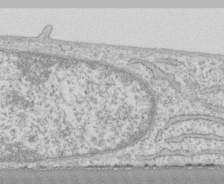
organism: Human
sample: CRL-1474